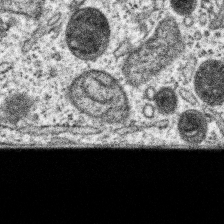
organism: Human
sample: HeLa cells